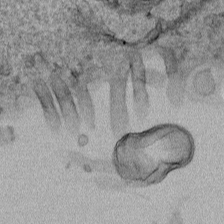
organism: Human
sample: Mitochondria in HCT116 cells